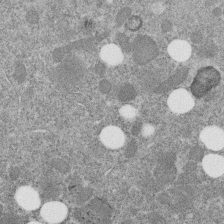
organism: C. elegans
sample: C. elegans embryo early stage